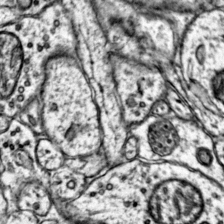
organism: Mouse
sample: Primary visual cortex